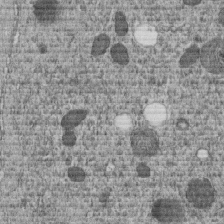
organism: C. elegans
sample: C. elegans embryo early stage